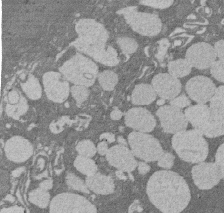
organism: Rat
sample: Salivary granule